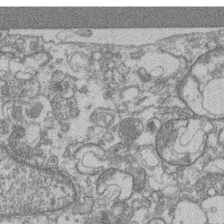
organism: Mouse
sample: T cell stromal cell synapse